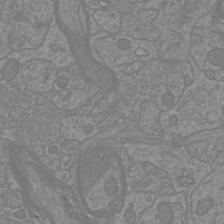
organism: Mouse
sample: Cortical neurons